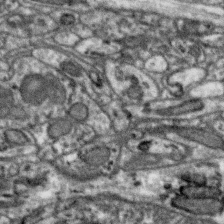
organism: Zebra finch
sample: Brain